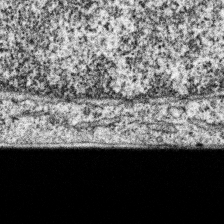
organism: Human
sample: HeLa cells